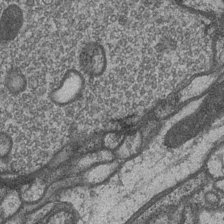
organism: Drosophila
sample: Optic medulla